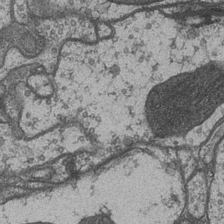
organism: Drosophila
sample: Optic medulla